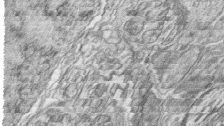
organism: Zebrafish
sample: synaptic ribbons in rod cells and cone cells